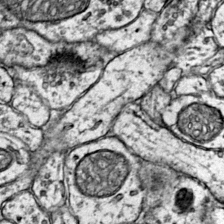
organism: Mouse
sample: Primary visual cortex